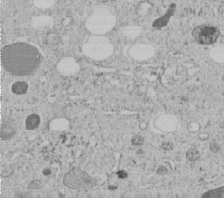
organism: C. elegans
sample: C. elegans embryo early stage